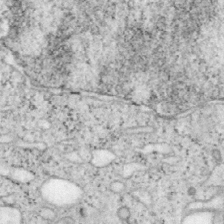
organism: Mouse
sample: OT-I killer T cells with ID8 ovarian cancer cells